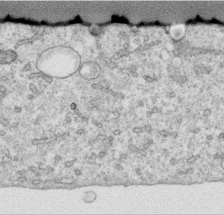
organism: Human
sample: Centriole in RPE cells